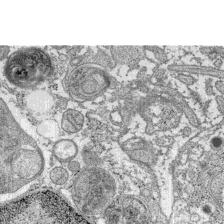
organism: C57BL Mouse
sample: Pancreatic islet